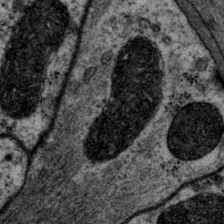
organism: P. pacificus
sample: Pharynx